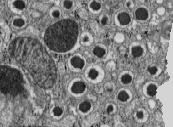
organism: C57BL Mouse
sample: Pancreatic islet